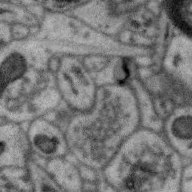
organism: Zebra finch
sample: Brain